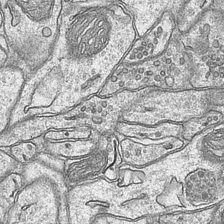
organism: Mouse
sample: CA1 Hippocampus